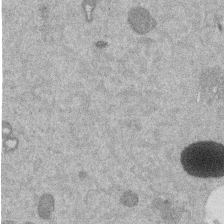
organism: Mouse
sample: Dividing mouse embryo 1 cell stage